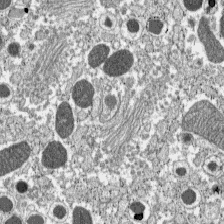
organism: C57BL Mouse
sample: Pancreatic islet